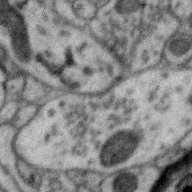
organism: Zebra finch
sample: Brain